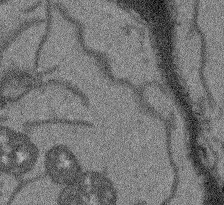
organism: Arabidopsis thaliana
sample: Root tip